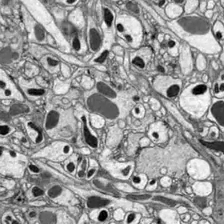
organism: Drosophila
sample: Optic lobe